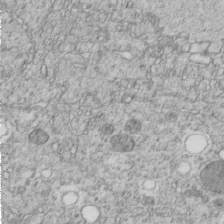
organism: C. elegans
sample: C. elegans embryo early stage